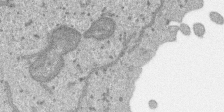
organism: Human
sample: Lung epithelial cells infected with SARS-CoV-2